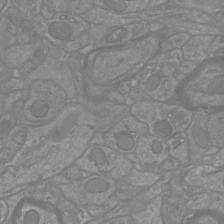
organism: Mouse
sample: Cortical neurons